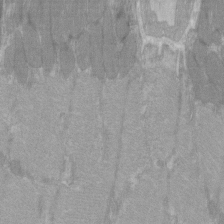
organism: C57BL Mouse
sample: Tibialis anterior muscle cell